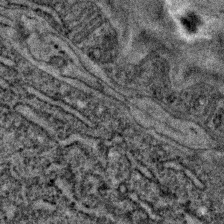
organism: C. elegans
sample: C. elegans embryo